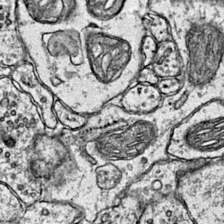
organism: Mouse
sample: Primary visual cortex